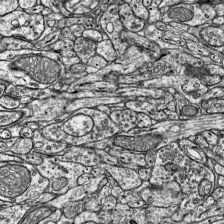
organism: Mouse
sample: Visual Cortex